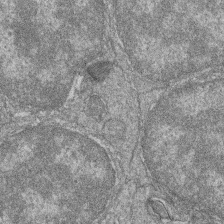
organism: Zebrafish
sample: Cilia; retinal pigment epithelium